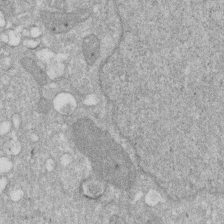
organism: Human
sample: HIV infected U937 cells